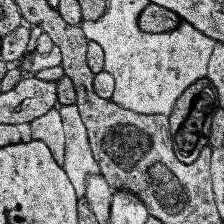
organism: Human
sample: Temporal Lobe